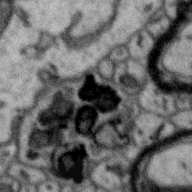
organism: Zebra finch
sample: Brain